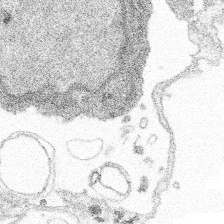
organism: Spongilla lacustris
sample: Multiple